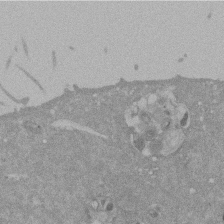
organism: Mouse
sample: ED-1 cell nuclei; centrioles